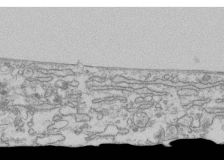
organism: Human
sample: Fibroblast cells